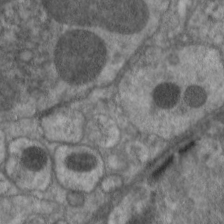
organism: C. elegans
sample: Pharynx